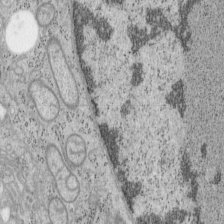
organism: Mouse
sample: OT-I killer T cells with ID8 ovarian cancer cells